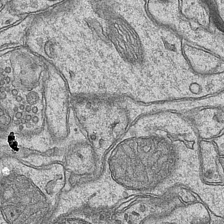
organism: Mouse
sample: CA1 Hippocampus